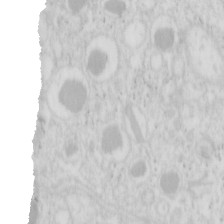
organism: Mouse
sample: Pancreas